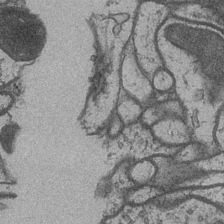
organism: Drosophila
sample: Optic medulla